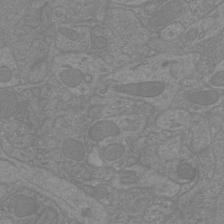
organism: Mouse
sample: Cortical neurons